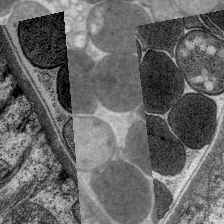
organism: C. elegans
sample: Pharynx